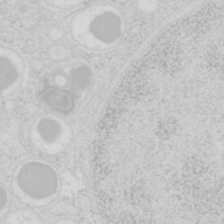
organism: Mouse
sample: Pancreas